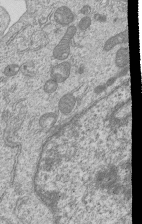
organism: Human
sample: MDA-MB-231 cells